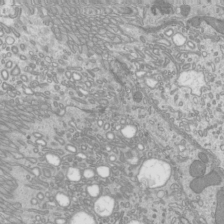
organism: Mouse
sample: Cilia; mouse epididymis